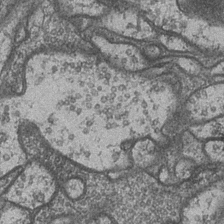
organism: Drosophila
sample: Optic medulla